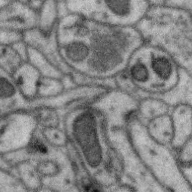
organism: Zebra finch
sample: Brain